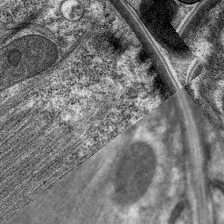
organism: C. elegans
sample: Pharynx